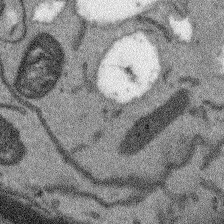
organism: Arabidopsis thaliana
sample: Root tip